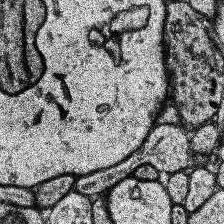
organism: Human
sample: Temporal Lobe